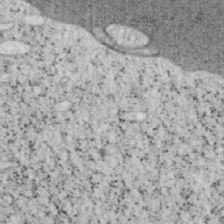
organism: Mouse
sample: OT-I killer T cells with ID8 ovarian cancer cells